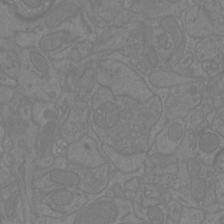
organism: Mouse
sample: Cortical neurons